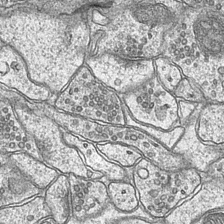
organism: Mouse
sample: CA1 Hippocampus